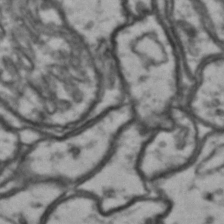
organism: Drosophila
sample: Brain